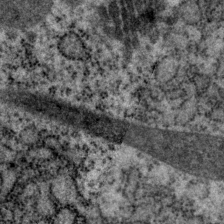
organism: P. pacificus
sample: Pharynx